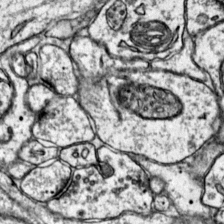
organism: Mouse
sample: Primary visual cortex